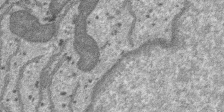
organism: Human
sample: Lung epithelial cells infected with SARS-CoV-2